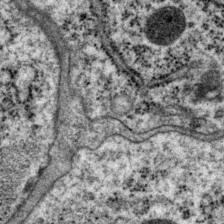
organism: P. pacificus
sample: Pharynx